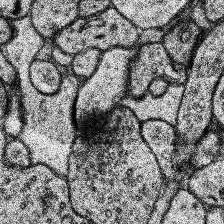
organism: Human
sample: Temporal Lobe